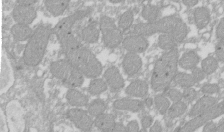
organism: Xenopus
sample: Cilia; centrioles in frog embryo cells